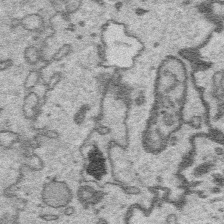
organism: Platynereis dumerilii